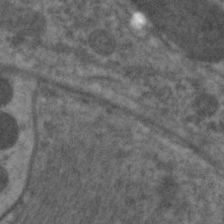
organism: C. elegans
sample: Pharynx